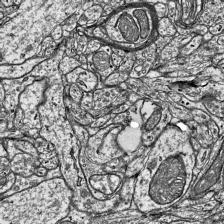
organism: Mouse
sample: Visual Cortex